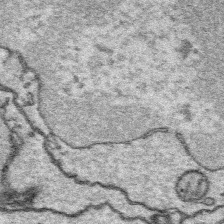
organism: Platynereis dumerilii